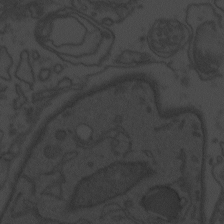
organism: Zebrafish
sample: Macrophage infected with Toxoplasma gondii